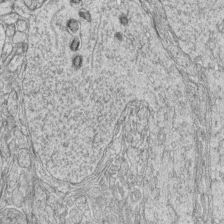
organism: Zebrafish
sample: synaptic ribbons in rod cells and cone cells